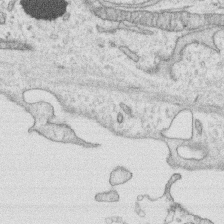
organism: Human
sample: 1205lu cells